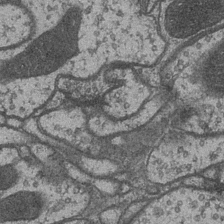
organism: Drosophila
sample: Optic medulla